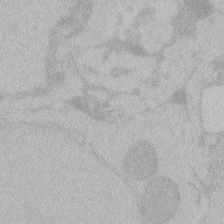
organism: Zebrafish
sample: Macrophage infected with Toxoplasma gondii